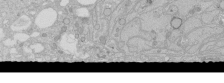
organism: Human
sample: Caco-2 cells